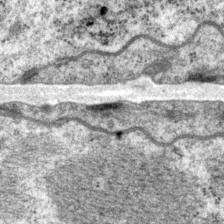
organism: P. pacificus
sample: Pharynx